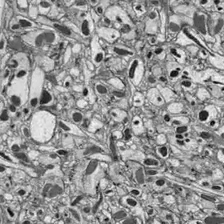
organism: Drosophila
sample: Optic lobe